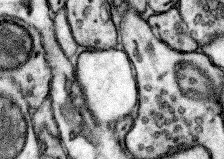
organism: Mouse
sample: Somatosensory cortex neuropil